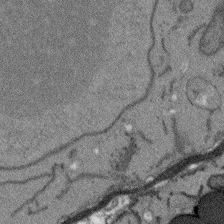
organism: Arabidopsis thaliana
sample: Root tip